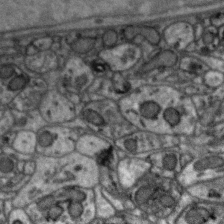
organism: Zebra finch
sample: Brain